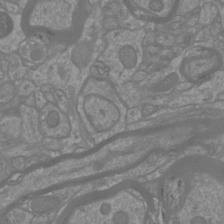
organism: Mouse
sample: Cortical neurons